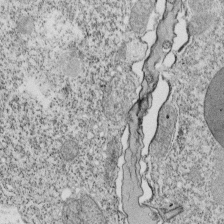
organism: Tetrahymena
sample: Cilia in tetrahymena